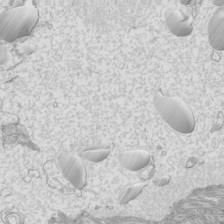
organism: Mouse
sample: Cilia; mouse epididymis